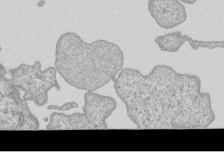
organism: Human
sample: MDA-MB-231 cells